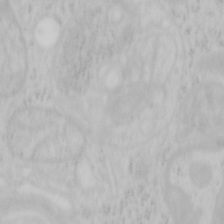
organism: Mouse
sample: OT-I killer T cells with ID8 ovarian cancer cells